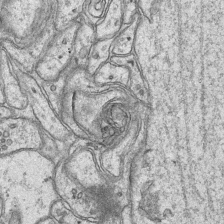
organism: Mouse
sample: CA1 Hippocampus